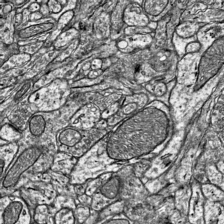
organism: Mouse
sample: Visual Cortex